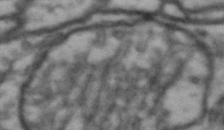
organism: Drosophila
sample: Brain